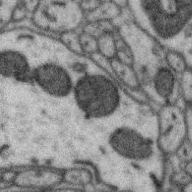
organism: Zebra finch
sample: Brain